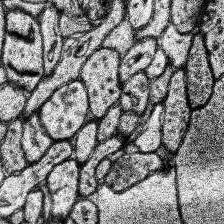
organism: Human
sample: Temporal Lobe